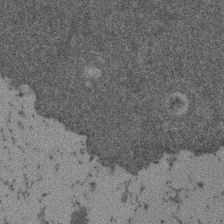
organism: Mouse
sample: Dividing mouse embryo 1 cell stage